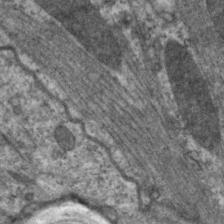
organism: C. elegans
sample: Pharynx